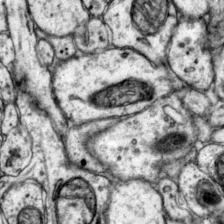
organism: Mouse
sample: Primary visual cortex